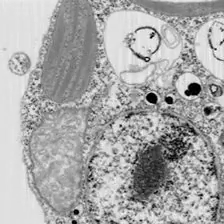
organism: Chlamydomonas reinhardtii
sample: Whole Cell